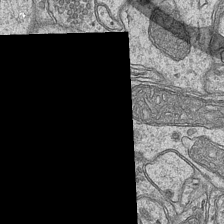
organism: Mouse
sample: CA1 Hippocampus